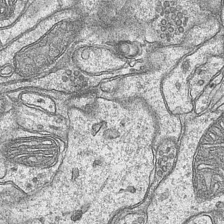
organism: Mouse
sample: CA1 Hippocampus